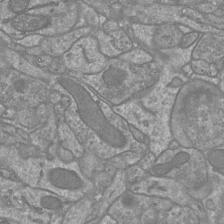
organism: Mouse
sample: Cortical neurons